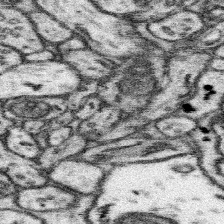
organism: Mouse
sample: Somatosensory cortex neuropil